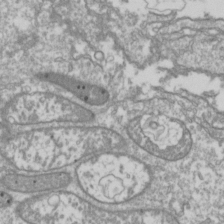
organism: Drosophila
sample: Cell division; meiosis; drosophila spermatocytes